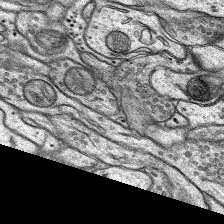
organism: Rat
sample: Hippocampus